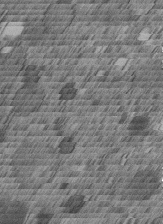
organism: C. elegans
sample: C. elegans embryo early stage